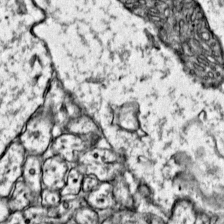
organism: Mouse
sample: Primary visual cortex